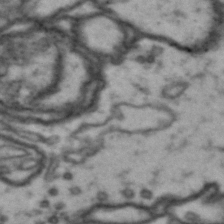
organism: Drosophila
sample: Brain